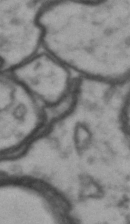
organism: Drosophila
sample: Brain